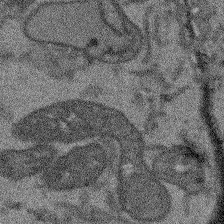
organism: Arabidopsis thaliana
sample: Root tip